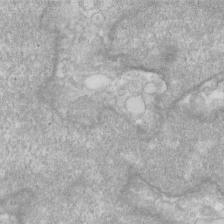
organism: Human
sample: Fibroblast cells